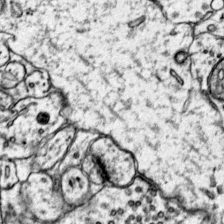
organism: Mouse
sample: Primary visual cortex